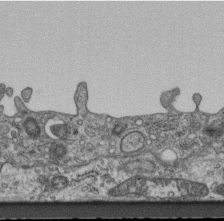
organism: Mouse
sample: Centriole in ependymal cells